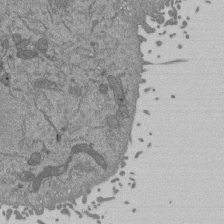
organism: Mouse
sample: ED-1 cell nuclei; centrioles